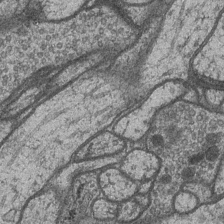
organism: Drosophila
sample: Optic medulla